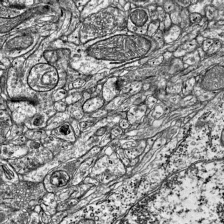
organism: Mouse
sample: Visual Cortex